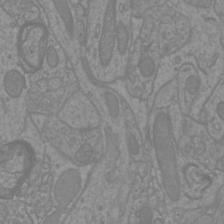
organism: Mouse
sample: Cortical neurons